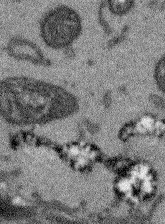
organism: Arabidopsis thaliana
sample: Root tip